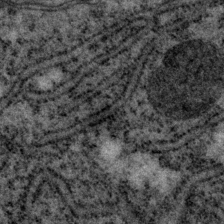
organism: P. pacificus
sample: Pharynx